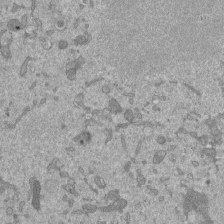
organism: Mouse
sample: ED-1 cell nuclei; centrioles